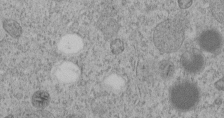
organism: C. elegans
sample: C. elegans embryo early stage